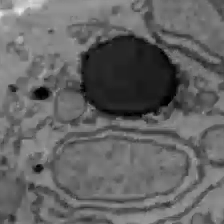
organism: C57BL Mouse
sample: Liver